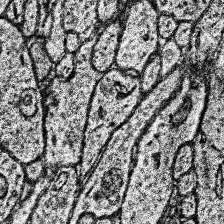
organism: Human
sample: Temporal Lobe